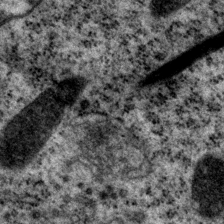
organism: P. pacificus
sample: Pharynx